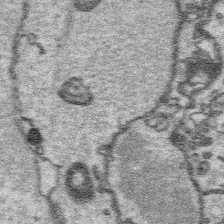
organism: Platynereis dumerilii